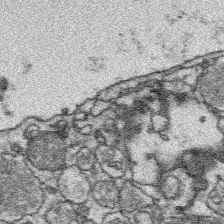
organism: Platynereis dumerilii